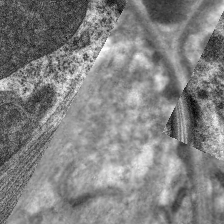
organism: C. elegans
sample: Pharynx